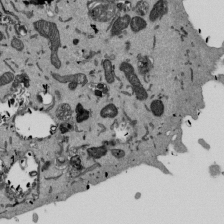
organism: Mouse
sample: ED-1 cell nuclei; centrioles